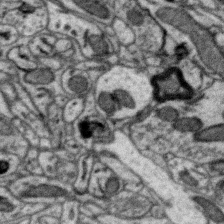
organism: Zebra finch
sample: Brain